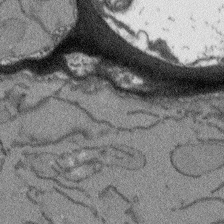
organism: Arabidopsis thaliana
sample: Root tip